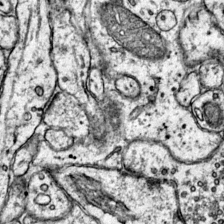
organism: Mouse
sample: Primary visual cortex